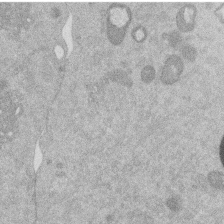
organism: Mouse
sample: Dividing mouse embryo 1 cell stage